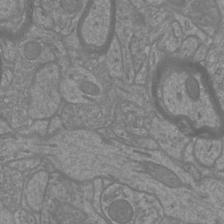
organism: Mouse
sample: Cortical neurons